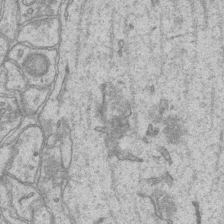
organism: Mouse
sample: CA1 Hippocampus